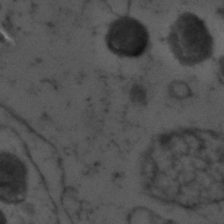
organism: Zebrafish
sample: Zebrafish embryo